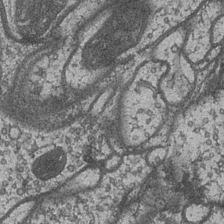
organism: Drosophila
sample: Optic medulla